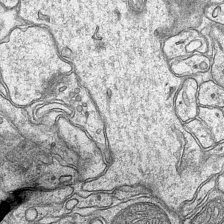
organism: Mouse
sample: CA1 Hippocampus